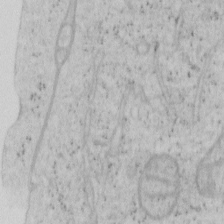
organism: Human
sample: HeLa cells